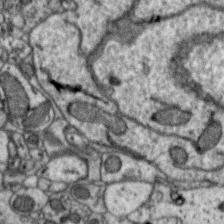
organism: Zebra finch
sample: Brain